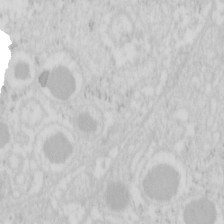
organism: Mouse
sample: Pancreas